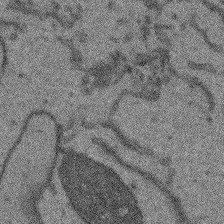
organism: Arabidopsis thaliana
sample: Root tip